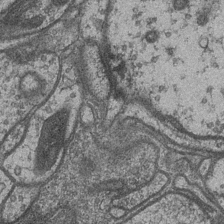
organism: Drosophila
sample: Optic medulla